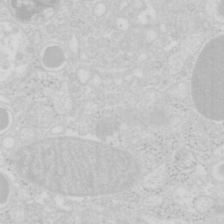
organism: Mouse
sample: Pancreas